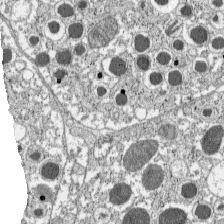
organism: C57BL Mouse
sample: Pancreatic islet